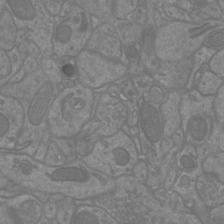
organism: Mouse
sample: Cortical neurons